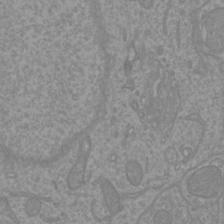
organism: Mouse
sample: Cortical neurons